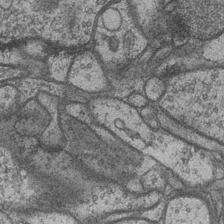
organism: Drosophila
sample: Optic medulla